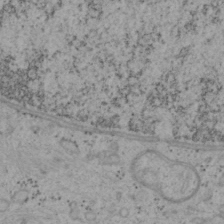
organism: Human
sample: HeLa cells